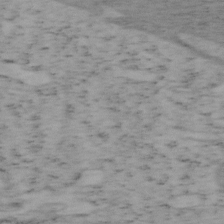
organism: Mouse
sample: OT-I killer T cells with ID8 ovarian cancer cells